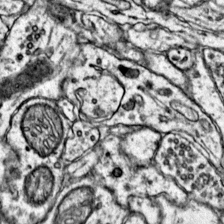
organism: Mouse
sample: Primary visual cortex